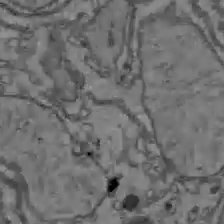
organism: C57BL Mouse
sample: Liver